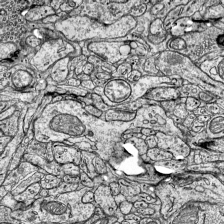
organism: Mouse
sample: Visual Cortex